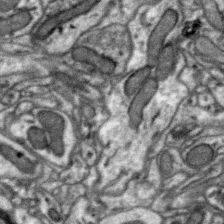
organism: Zebra finch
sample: Brain